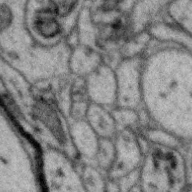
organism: Zebra finch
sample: Brain